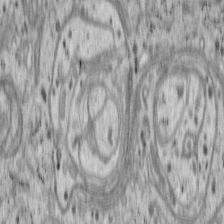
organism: Human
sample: HeLa cells